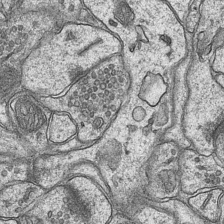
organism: Mouse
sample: CA1 Hippocampus